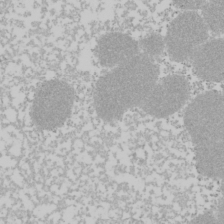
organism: Mouse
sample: Cancer cell death in ED-1 cells